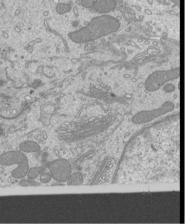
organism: Mouse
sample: Cilia; mouse epididymis